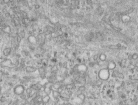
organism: Human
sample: Centriole in RPE cells